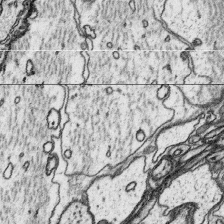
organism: Platynereis dumerilii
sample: Parapodia